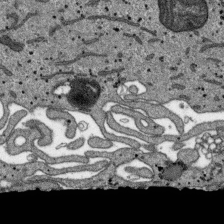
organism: Human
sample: Lung epithelial cells, uninfected (mock) control